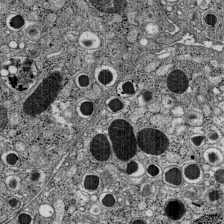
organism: C57BL Mouse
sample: Pancreatic islet